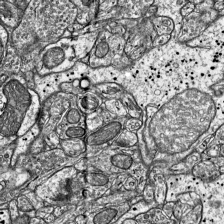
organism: Mouse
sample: Visual Cortex